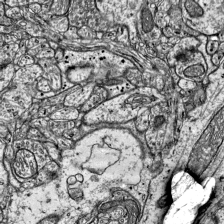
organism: Mouse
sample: Visual Cortex